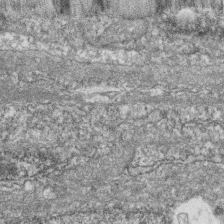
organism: Zebrafish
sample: Cilia; retinal pigment epithelium